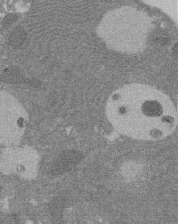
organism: Rat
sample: Salivary granule